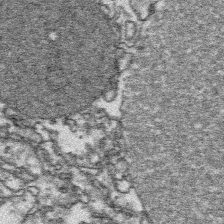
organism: Platynereis dumerilii